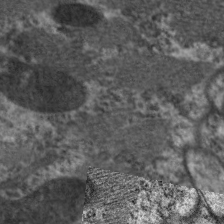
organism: C. elegans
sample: Pharynx